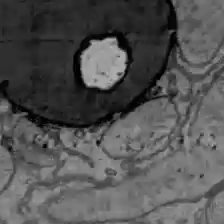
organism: C57BL Mouse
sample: Liver